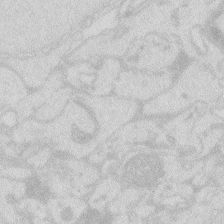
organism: Zebrafish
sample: Macrophage